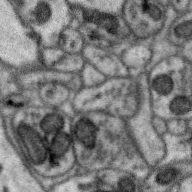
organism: Zebra finch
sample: Brain